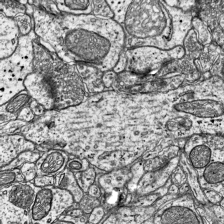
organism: Mouse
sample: Visual Cortex